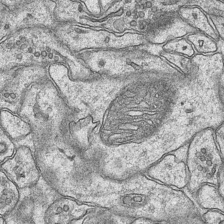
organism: Mouse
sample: CA1 Hippocampus